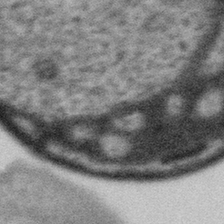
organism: Gemmata obscuriglobus